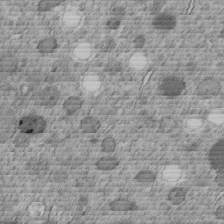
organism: C. elegans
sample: C. elegans embryo early stage